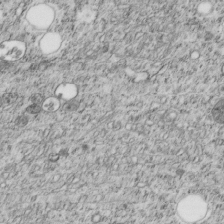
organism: C. elegans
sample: C. elegans embryo early stage